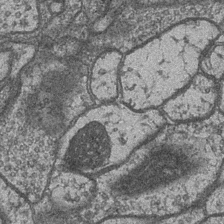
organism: Drosophila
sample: Optic medulla